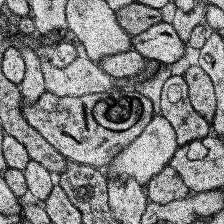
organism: Human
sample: Temporal Lobe